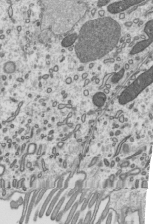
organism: Mouse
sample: Mouse epididymis efferent ductule cilia